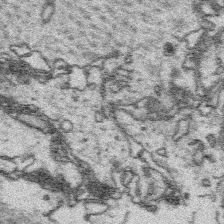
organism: Platynereis dumerilii